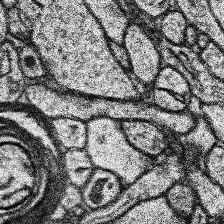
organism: Human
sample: Temporal Lobe